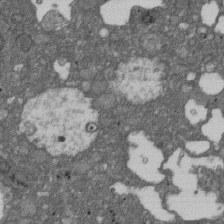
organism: Drosophila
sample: Nephrocyte